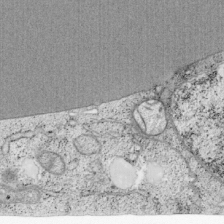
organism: African green monkey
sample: COS-7 cells